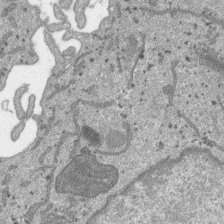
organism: Human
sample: Lung epithelial cells infected with SARS-CoV-2